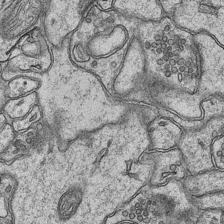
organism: Mouse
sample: CA1 Hippocampus